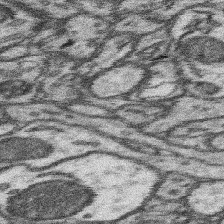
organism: Mouse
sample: Somatosensory cortex neuropil